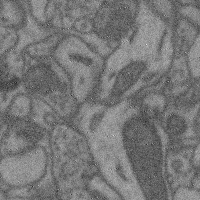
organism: Mouse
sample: Cerebral cortex